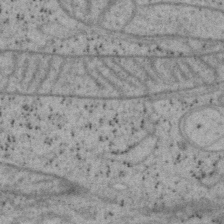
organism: Human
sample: HeLa cells